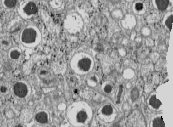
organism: C57BL Mouse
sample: Pancreatic islet